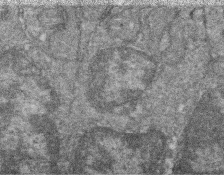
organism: Zebrafish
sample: Cilia; retinal pigment epithelium